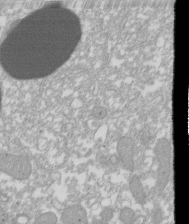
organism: Xenopus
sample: Cilia; centrioles in frog embryo cells